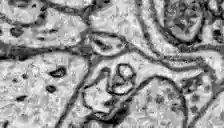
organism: Zebrafish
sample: Brain